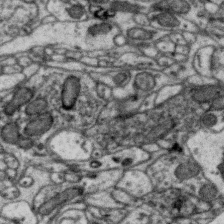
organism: Zebra finch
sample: Brain